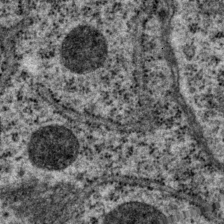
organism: P. pacificus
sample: Pharynx